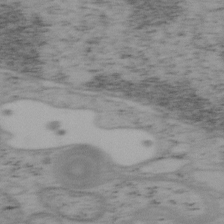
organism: Mouse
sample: OT-I killer T cells with ID8 ovarian cancer cells